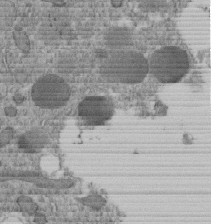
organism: C. elegans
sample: C. elegans embryo early stage